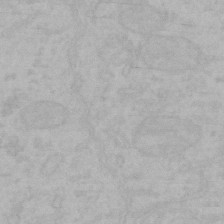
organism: Mouse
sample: Choroid plexus